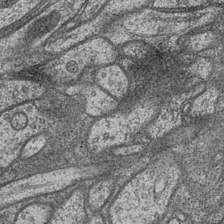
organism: Drosophila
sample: Optic medulla